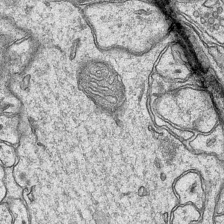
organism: Mouse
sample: CA1 Hippocampus